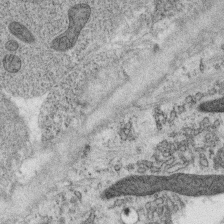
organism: C. elegans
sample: C. elegans oocyte; sperm cells